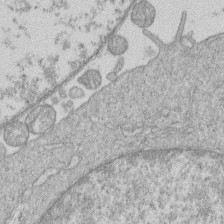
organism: Human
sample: Macrophage cells